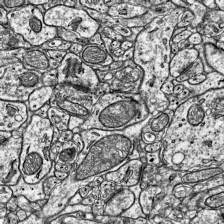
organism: Mouse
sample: Visual Cortex